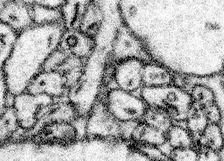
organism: Mouse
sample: Somatosensory cortex neuropil